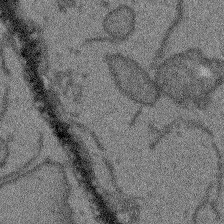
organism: Arabidopsis thaliana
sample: Root tip